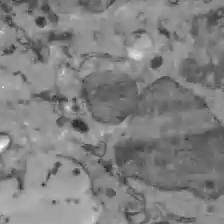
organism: C57BL Mouse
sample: Liver